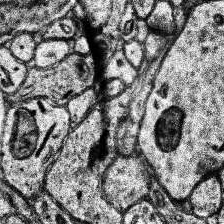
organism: Human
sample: Temporal Lobe